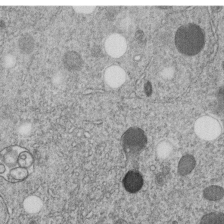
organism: C. elegans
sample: C. elegans embryo early stage